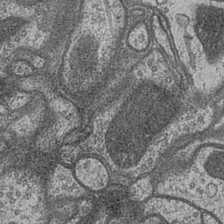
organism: Drosophila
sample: Optic medulla